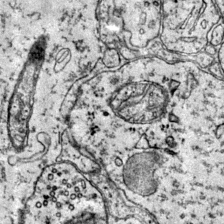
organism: Mouse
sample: Primary visual cortex